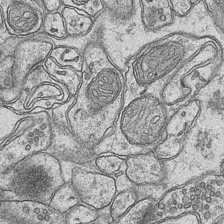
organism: Mouse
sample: CA1 Hippocampus